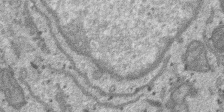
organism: Human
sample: Lung epithelial cells infected with SARS-CoV-2